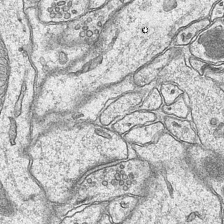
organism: Mouse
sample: CA1 Hippocampus